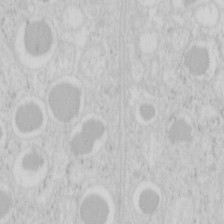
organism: Mouse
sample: Pancreas